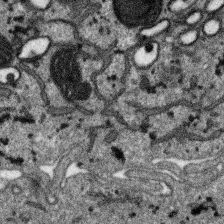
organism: Human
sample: Lung epithelial cells infected with SARS-CoV-2